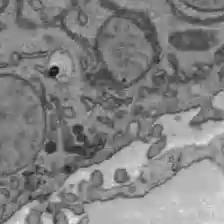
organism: C57BL Mouse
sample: Liver